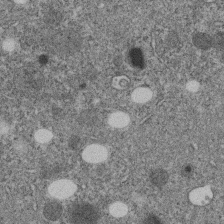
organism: C. elegans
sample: C. elegans embryo early stage